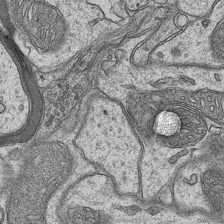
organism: Mouse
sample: CA1 Hippocampus